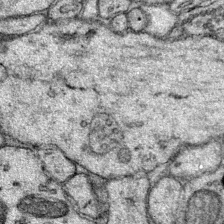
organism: Mouse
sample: Primary visual cortex